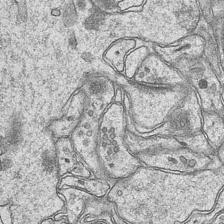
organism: Mouse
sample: CA1 Hippocampus